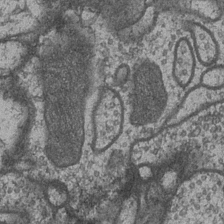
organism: Drosophila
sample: Optic medulla